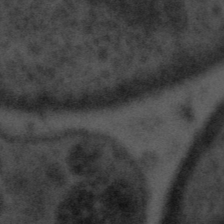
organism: Tuwongella immobilis